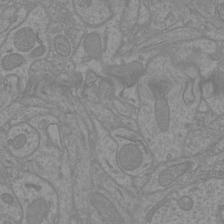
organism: Mouse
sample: Cortical neurons